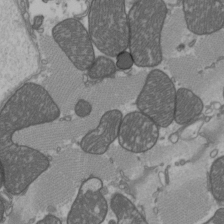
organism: C57BL Mouse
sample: Heart